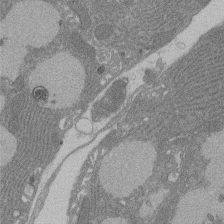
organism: Rat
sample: Salivary granule